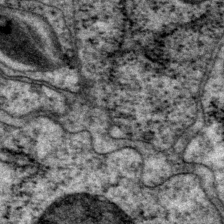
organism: P. pacificus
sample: Pharynx